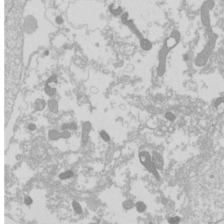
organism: Drosophila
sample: Cell division; meiosis; drosophila spermatocytes